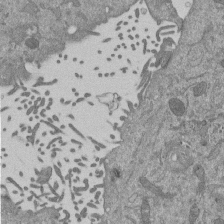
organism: Mouse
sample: ED-1 cell nuclei; centrioles